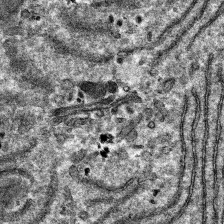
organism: Mouse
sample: Mouse hepatocytes